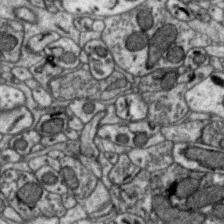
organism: Zebra finch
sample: Brain